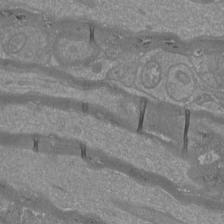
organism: Mouse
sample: Cortical neurons